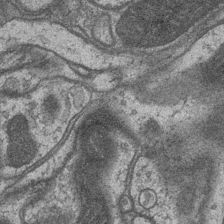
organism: Drosophila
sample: Optic medulla